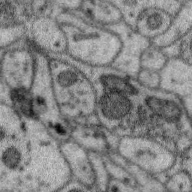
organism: Zebra finch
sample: Brain